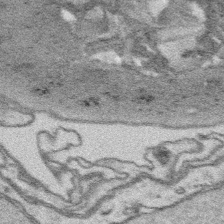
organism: Platynereis dumerilii